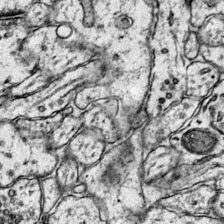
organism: Mouse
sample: Primary visual cortex